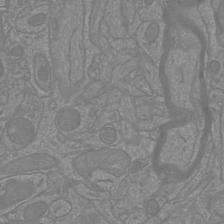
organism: Mouse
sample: Cortical neurons